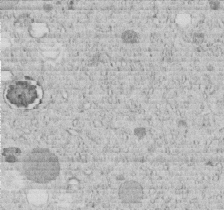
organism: C. elegans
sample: C. elegans embryo early stage